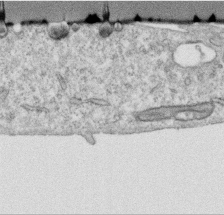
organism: Human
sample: Centriole in RPE cells